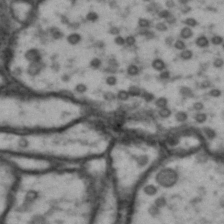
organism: Drosophila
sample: Brain